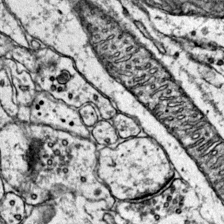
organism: Mouse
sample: Primary visual cortex